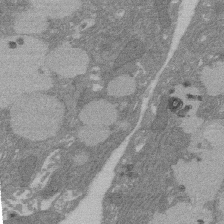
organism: Rat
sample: Salivary granule